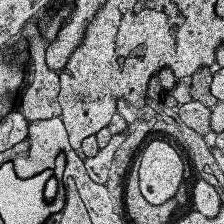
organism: Human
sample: Temporal Lobe